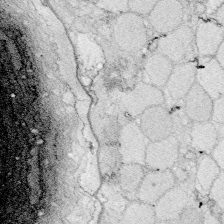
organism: Zebrafish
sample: Whole-Brain